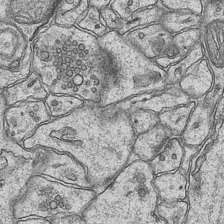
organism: Mouse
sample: CA1 Hippocampus